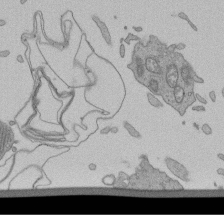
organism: Human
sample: Retinal organoid Rod and Cone cells